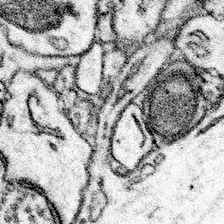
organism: Mouse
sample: Somatosensory cortex neuropil